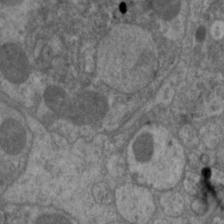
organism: C. elegans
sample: Pharynx